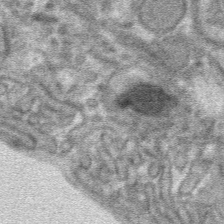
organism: Mouse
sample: Mouse hepatocytes